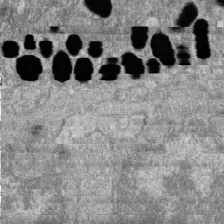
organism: Zebrafish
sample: Cilia; retinal pigment epithelium